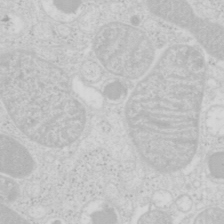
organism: Mouse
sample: Pancreas